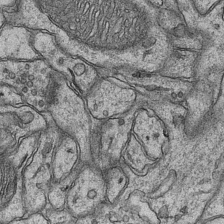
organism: Mouse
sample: CA1 Hippocampus